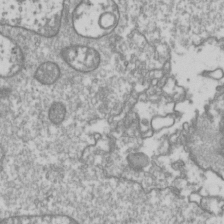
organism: Drosophila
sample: Cell division; meiosis; drosophila spermatocytes